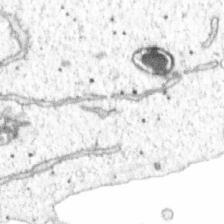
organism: Human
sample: HeLa cells